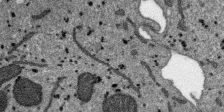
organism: Human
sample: Lung epithelial cells, uninfected (mock) control